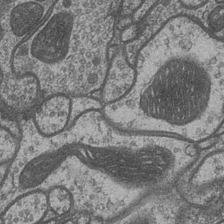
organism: Drosophila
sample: Optic medulla